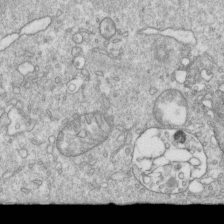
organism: Mouse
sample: Activated OT-1 CD8+ T cells